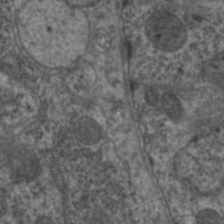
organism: C. elegans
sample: Pharynx